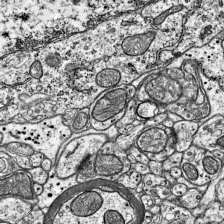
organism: Mouse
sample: Visual Cortex